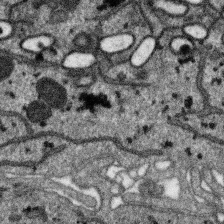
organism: Human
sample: Lung epithelial cells infected with SARS-CoV-2